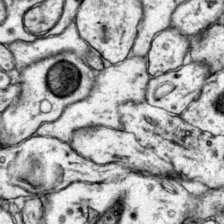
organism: Mouse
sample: Primary visual cortex